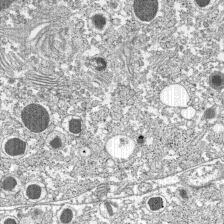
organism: C57BL Mouse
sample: Pancreatic islet